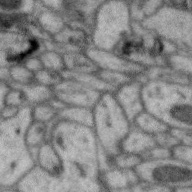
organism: Zebra finch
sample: Brain